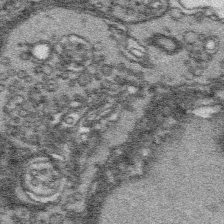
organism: Platynereis dumerilii